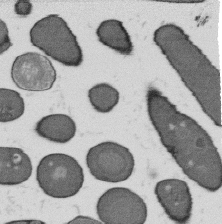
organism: B. subtilis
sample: Bacterial spore